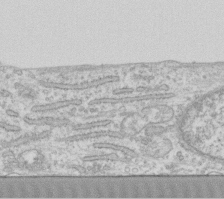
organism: Human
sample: Fibroblast cells